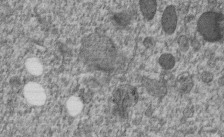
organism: C. elegans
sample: C. elegans embryo early stage